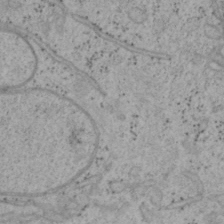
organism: Human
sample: HeLa cells